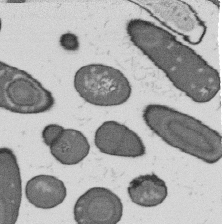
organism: B. subtilis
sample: Bacterial spore